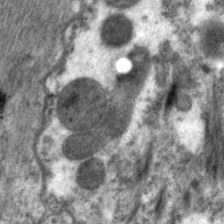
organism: C. elegans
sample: Pharynx